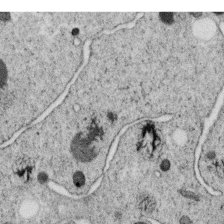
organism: C. elegans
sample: C. elegans oocyte; sperm cells